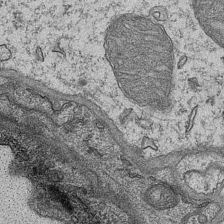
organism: Mouse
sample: CA1 Hippocampus